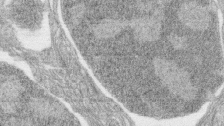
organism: Zebrafish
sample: synaptic ribbons in rod cells and cone cells